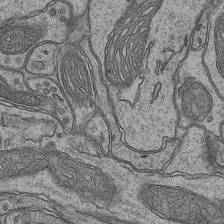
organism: Mouse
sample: CA1 Hippocampus